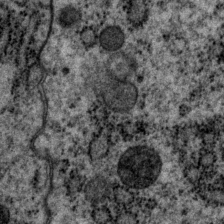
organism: P. pacificus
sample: Pharynx